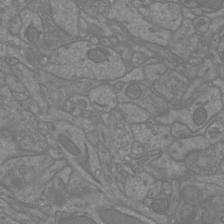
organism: Mouse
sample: Cortical neurons